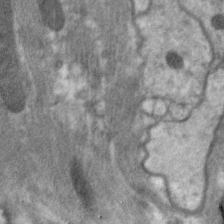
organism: C. elegans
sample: Pharynx